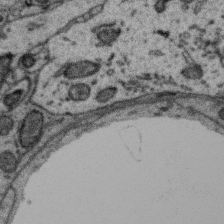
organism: Zebra finch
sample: Brain